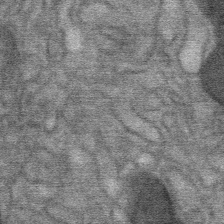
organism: Mouse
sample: Mouse Salivary gland